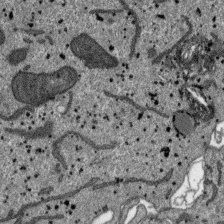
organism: Human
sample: Lung epithelial cells, uninfected (mock) control